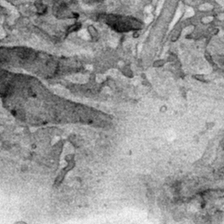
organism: Human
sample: Mitochondria in HCT116 cells